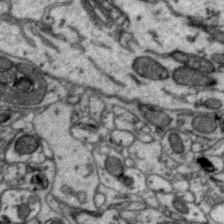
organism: Zebra finch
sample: Brain